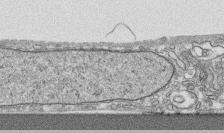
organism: Human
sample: CRL-1474